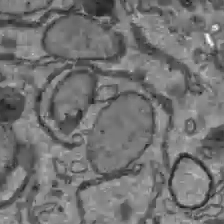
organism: C57BL Mouse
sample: Liver